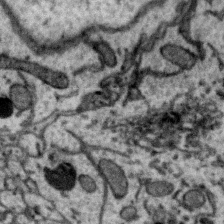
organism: Zebra finch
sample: Brain